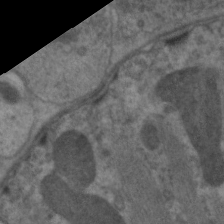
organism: C. elegans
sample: Pharynx